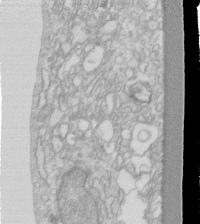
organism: Human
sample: Fibroblast cells